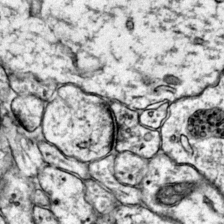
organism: Mouse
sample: Primary visual cortex